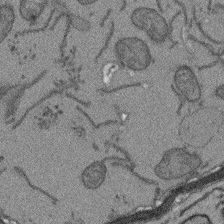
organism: Arabidopsis thaliana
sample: Root tip